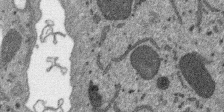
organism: Human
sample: Lung epithelial cells infected with SARS-CoV-2